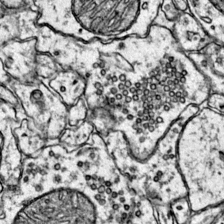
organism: Mouse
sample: Primary visual cortex